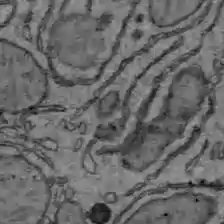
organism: C57BL Mouse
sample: Liver